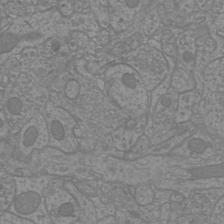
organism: Mouse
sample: Cortical neurons